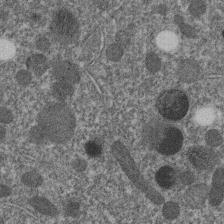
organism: C. elegans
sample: C. elegans embryo early stage